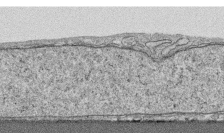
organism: Human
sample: CRL-1474